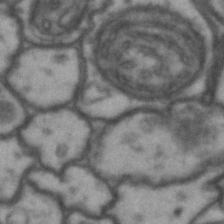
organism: Drosophila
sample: Brain